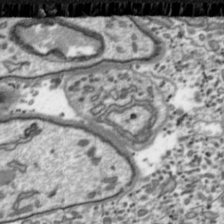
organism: Toxoplasma gondii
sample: Parasites in a vacuole inside a host cell